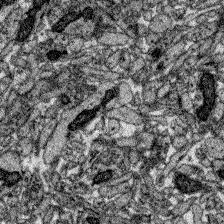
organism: Zebrafish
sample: Larval olfactory bulb